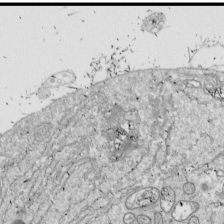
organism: Drosophila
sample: Cell division; meiosis; drosophila spermatocytes